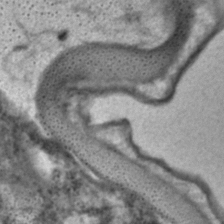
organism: C. elegans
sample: C. elegans embryo